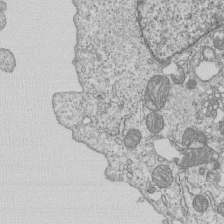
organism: Human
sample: MDA-MB-231 cells